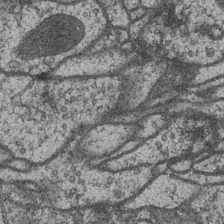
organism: Drosophila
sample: Optic medulla